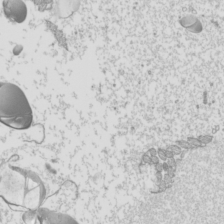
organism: Mouse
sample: Cilia; mouse epididymis